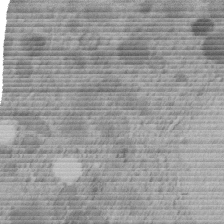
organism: C. elegans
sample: C. elegans embryo early stage